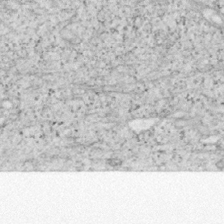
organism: Mouse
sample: OT-I killer T cells with ID8 ovarian cancer cells